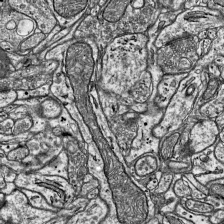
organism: Mouse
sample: Visual Cortex